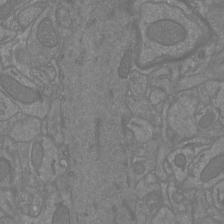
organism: Mouse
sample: Cortical neurons